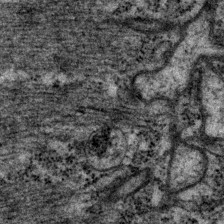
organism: P. pacificus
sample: Pharynx